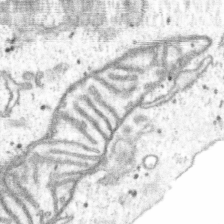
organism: Human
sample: HeLa cells